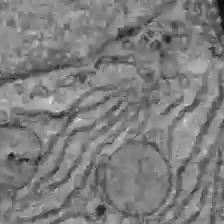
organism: C57BL Mouse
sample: Liver